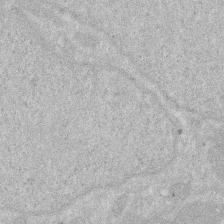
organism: Human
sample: HIV infected U937 cells